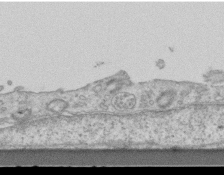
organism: Mouse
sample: Centriole in ependymal cells